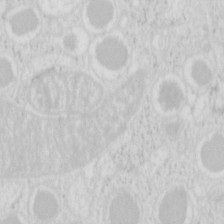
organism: Mouse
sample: Pancreas